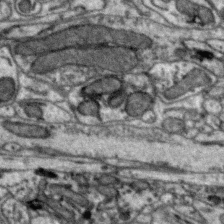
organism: Zebra finch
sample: Brain